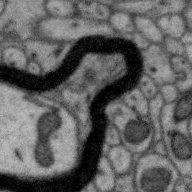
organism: Zebra finch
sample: Brain